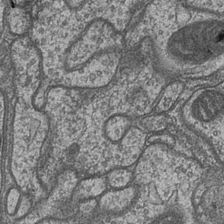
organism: Drosophila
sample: Optic medulla